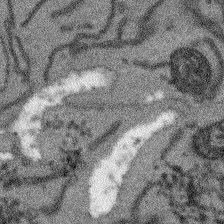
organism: Arabidopsis thaliana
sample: Root tip